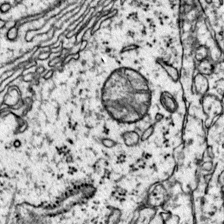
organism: Mouse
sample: Primary visual cortex